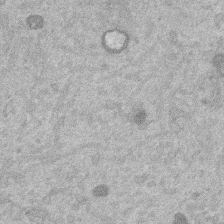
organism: Mouse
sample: Dividing mouse embryo 1 cell stage